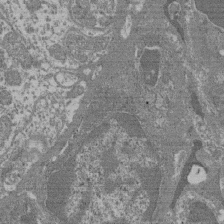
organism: Mouse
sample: Glomerulus